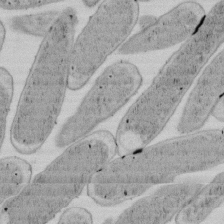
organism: E. coli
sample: Bacterial nucleoid